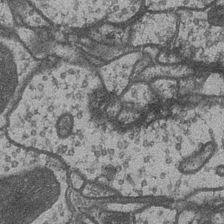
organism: Drosophila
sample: Optic medulla